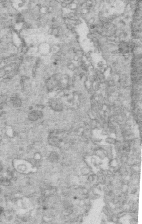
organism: Mouse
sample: Multiciliated cells